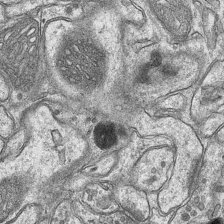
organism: Mouse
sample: CA1 Hippocampus